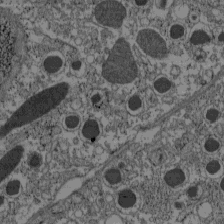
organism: C57BL Mouse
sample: Pancreatic islet